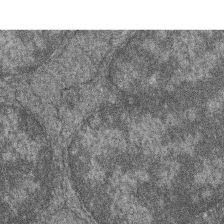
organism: Zebrafish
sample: Cilia; retinal pigment epithelium